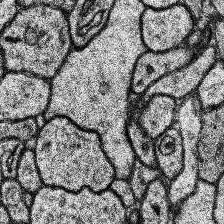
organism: Human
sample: Temporal Lobe